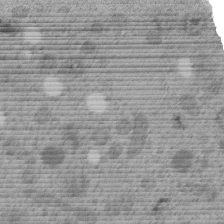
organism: C. elegans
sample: C. elegans embryo early stage